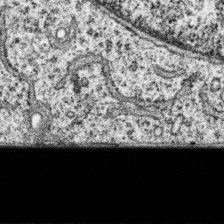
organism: Human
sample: HeLa cells